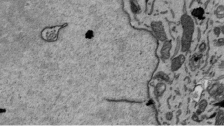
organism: Mouse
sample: ED-1 cell nuclei; centrioles